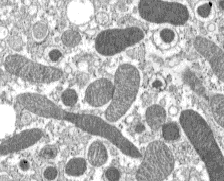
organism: C57BL Mouse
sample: Pancreatic islet